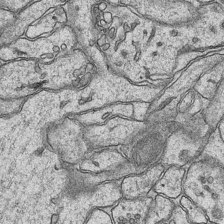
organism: Mouse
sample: CA1 Hippocampus